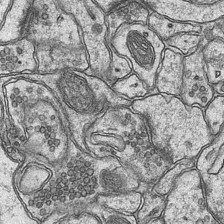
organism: Mouse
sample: CA1 Hippocampus